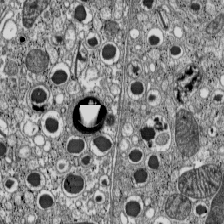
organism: C57BL Mouse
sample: Pancreatic islet